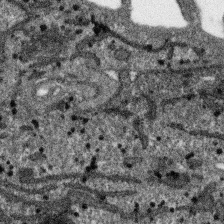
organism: Human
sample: Lung epithelial cells infected with SARS-CoV-2